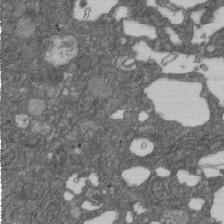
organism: Drosophila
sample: Nephrocyte